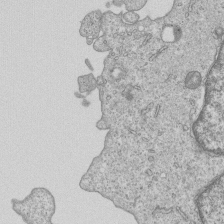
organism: Human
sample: MDA-MB-231 cells